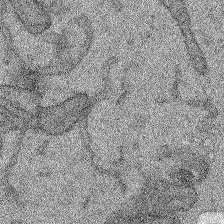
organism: Human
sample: HeLa cells